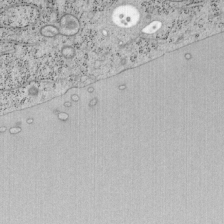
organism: Mouse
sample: OT-I killer T cells with ID8 ovarian cancer cells